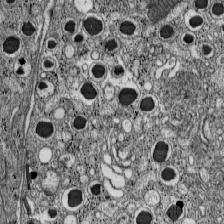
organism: C57BL Mouse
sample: Pancreatic islet